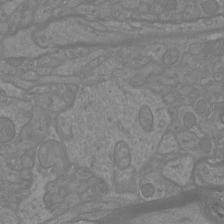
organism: Mouse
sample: Cortical neurons